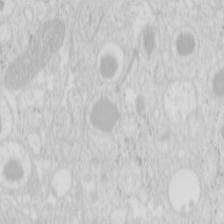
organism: Mouse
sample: Pancreas